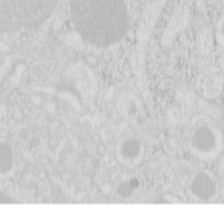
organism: Mouse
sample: Pancreas